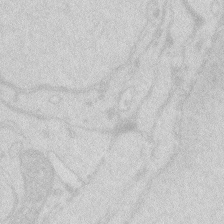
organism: Zebrafish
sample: Macrophage